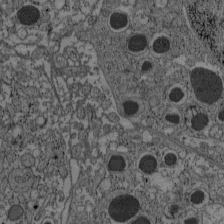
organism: C57BL Mouse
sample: Pancreatic islet